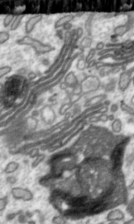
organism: Toxoplasma gondii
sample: Parasites in a vacuole inside a host cell